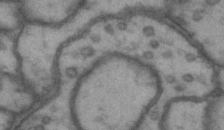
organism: Drosophila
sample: Brain